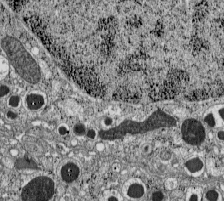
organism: C57BL Mouse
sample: Pancreatic islet